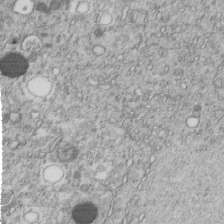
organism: C. elegans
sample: C. elegans embryo early stage